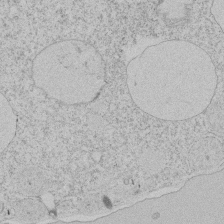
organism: Tetrahymena